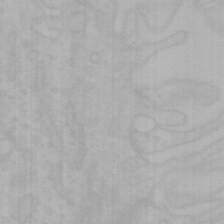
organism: Mouse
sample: Choroid plexus